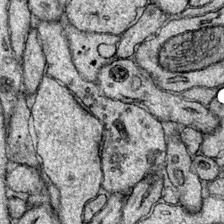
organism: Mouse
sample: Primary visual cortex